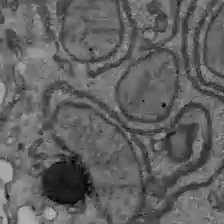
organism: C57BL Mouse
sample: Liver